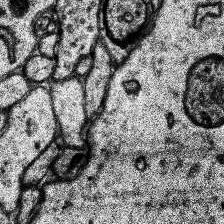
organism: Human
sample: Temporal Lobe